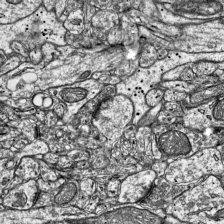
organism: Mouse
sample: Visual Cortex